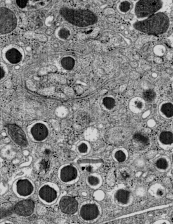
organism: C57BL Mouse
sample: Pancreatic islet